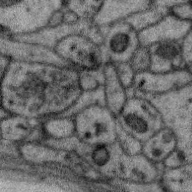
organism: Zebra finch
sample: Brain